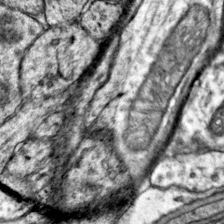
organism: Mouse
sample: Primary visual cortex